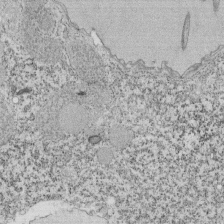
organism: Tetrahymena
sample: Cilia in tetrahymena